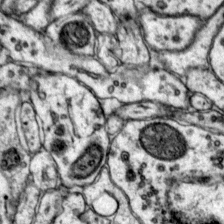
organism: Mouse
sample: Primary visual cortex